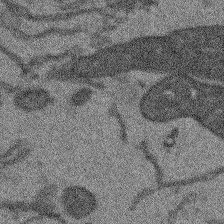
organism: Arabidopsis thaliana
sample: Root tip